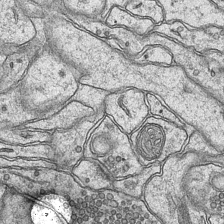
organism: Mouse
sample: CA1 Hippocampus